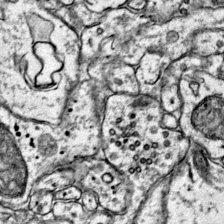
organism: Mouse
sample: Primary visual cortex